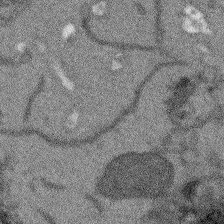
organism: Arabidopsis thaliana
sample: Root tip